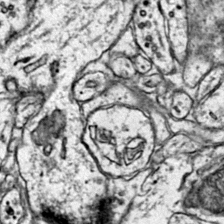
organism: Mouse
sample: Primary visual cortex